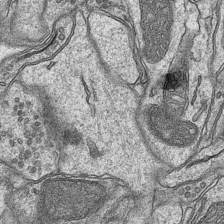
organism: Mouse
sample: CA1 Hippocampus